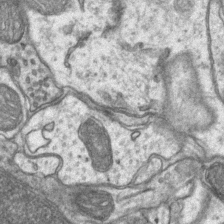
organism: Mouse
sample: CA1 Hippocampus